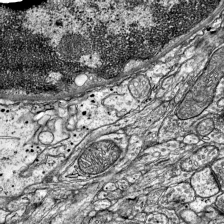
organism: Mouse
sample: Visual Cortex